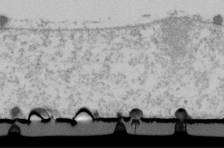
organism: Human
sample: U2-OS cells